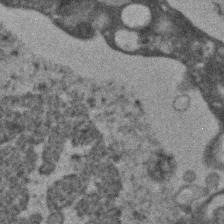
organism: Human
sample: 1205lu cells